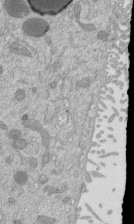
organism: Mouse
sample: ED-1 cell nuclei; centrioles